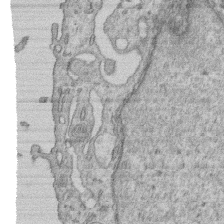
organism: Human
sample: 1205lu cells